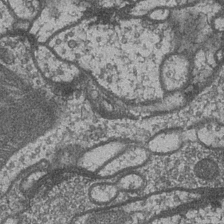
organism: Drosophila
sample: Optic medulla